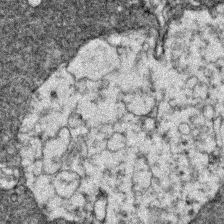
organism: Zebrafish